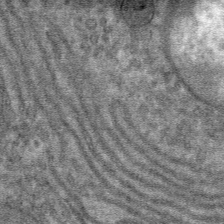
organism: Mouse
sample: Mouse hepatocytes